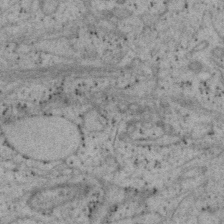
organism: Human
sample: HeLa cells